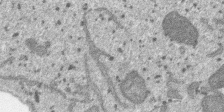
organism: Human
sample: Lung epithelial cells infected with SARS-CoV-2